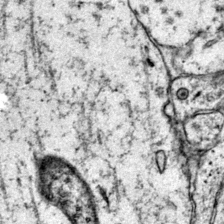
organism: Mouse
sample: Primary visual cortex